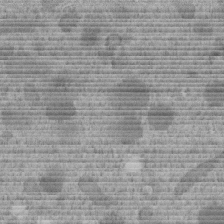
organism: C. elegans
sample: C. elegans embryo early stage